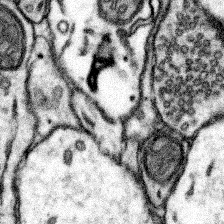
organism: Mouse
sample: Somatosensory cortex neuropil